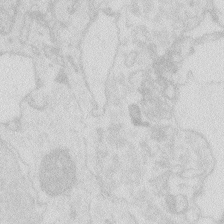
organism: Zebrafish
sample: Macrophage